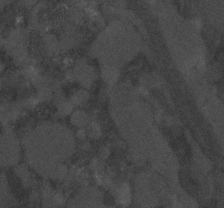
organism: C. elegans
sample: C. elegans embryo